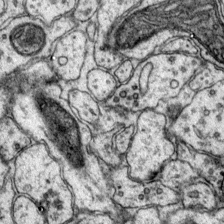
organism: Mouse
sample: Primary visual cortex